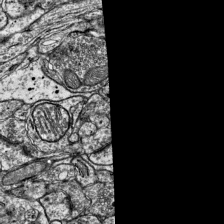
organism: Mouse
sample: Visual Cortex